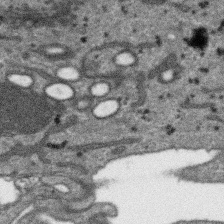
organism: Human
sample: Lung epithelial cells infected with SARS-CoV-2